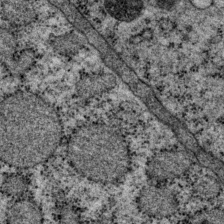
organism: P. pacificus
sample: Pharynx